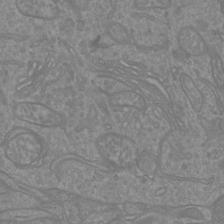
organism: Mouse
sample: Cortical neurons